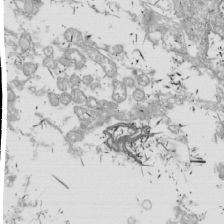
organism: Drosophila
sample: Cell division; meiosis; drosophila spermatocytes